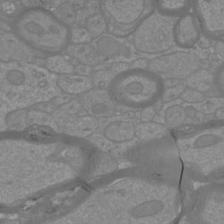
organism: Mouse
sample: Cortical neurons